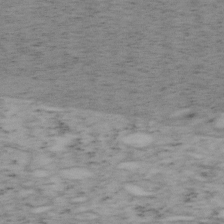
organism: Mouse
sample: OT-I killer T cells with ID8 ovarian cancer cells